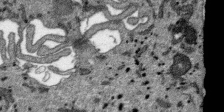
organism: Human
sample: Lung epithelial cells, uninfected (mock) control